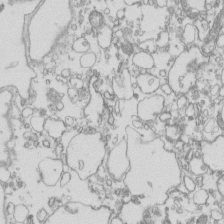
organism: Mouse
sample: Macrophages